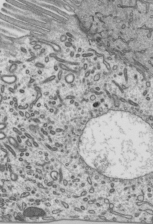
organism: Mouse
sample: Mouse epididymis efferent ductule cilia